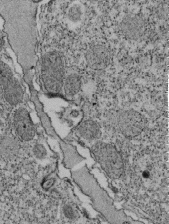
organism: Tetrahymena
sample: Cilia in tetrahymena